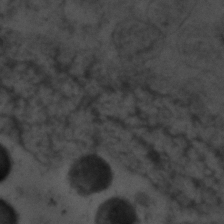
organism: Zebrafish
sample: Zebrafish embryo